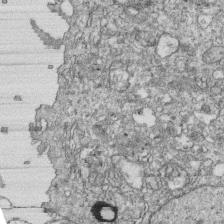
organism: Human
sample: HeLa cell HIV synapse